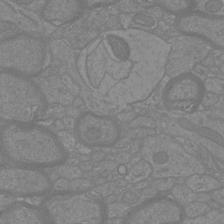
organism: Mouse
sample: Cortical neurons